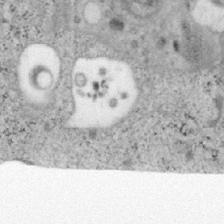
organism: Mouse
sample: OT-I killer T cells with ID8 ovarian cancer cells